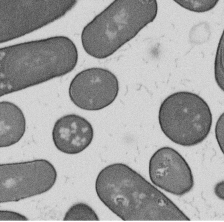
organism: B. subtilis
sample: Bacterial spore